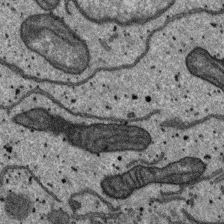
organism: Human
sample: Lung epithelial cells, uninfected (mock) control